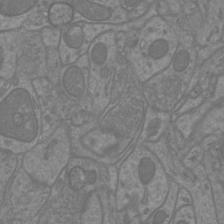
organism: Mouse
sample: Cortical neurons